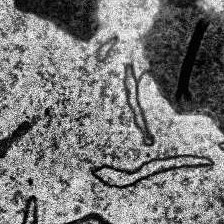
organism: Human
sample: Temporal Lobe